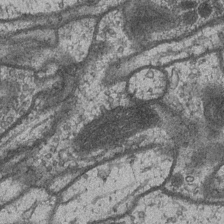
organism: Drosophila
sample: Optic medulla